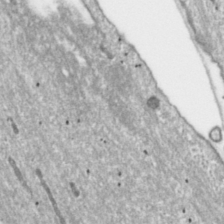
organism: Toxoplasma gondii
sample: Parasites in a vacuole inside a host cell